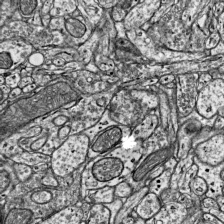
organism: Mouse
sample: Visual Cortex